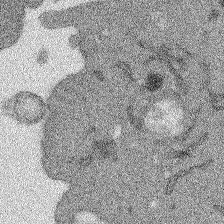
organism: Human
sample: HeLa cells